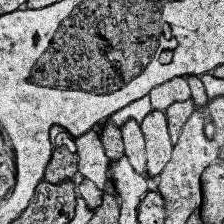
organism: Human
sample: Temporal Lobe